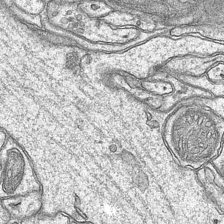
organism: Mouse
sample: CA1 Hippocampus